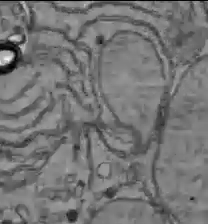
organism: C57BL Mouse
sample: Liver